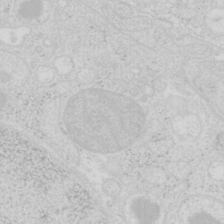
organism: Mouse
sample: Pancreas